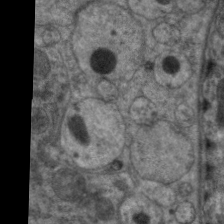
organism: C. elegans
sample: Pharynx